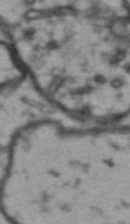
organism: Drosophila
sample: Brain